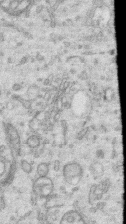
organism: Human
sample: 1205lu cells